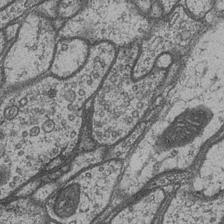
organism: Drosophila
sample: Optic medulla